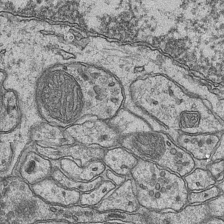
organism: Mouse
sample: CA1 Hippocampus